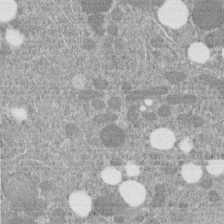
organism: C. elegans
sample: C. elegans embryo early stage